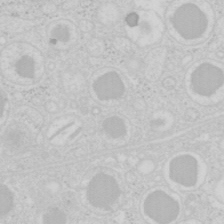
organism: Mouse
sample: Pancreas